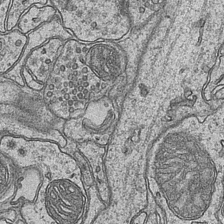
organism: Mouse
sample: CA1 Hippocampus